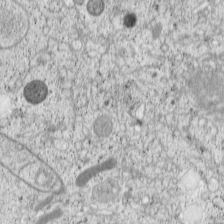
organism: African green monkey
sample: COS-7 cells